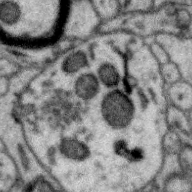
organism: Zebra finch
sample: Brain